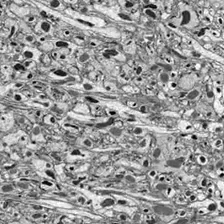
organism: Drosophila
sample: Optic lobe